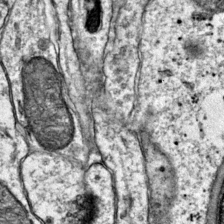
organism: Mouse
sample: Primary visual cortex